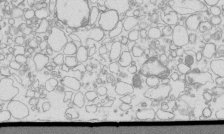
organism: Mouse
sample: Macrophages